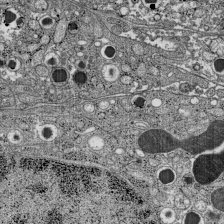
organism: C57BL Mouse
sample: Pancreatic islet